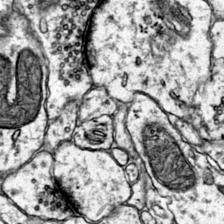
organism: Mouse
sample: Primary visual cortex